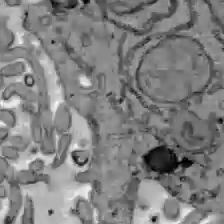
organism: C57BL Mouse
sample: Liver